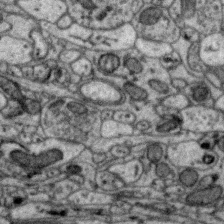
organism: Zebra finch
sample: Brain